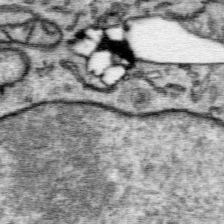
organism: Human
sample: HeLa cells